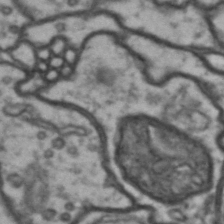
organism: Drosophila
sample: Brain